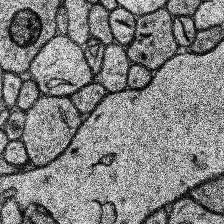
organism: Human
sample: Temporal Lobe